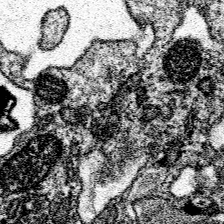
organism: Spongilla lacustris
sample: Neuroid cell